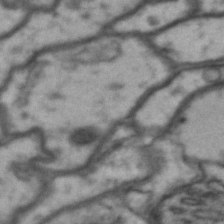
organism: Drosophila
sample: Brain